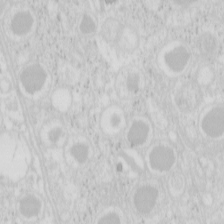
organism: Mouse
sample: Pancreas